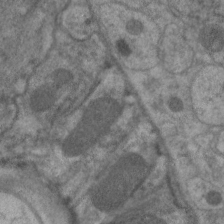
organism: C. elegans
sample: Pharynx